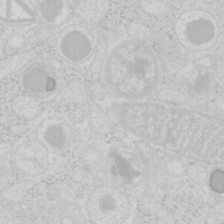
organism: Mouse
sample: Pancreas